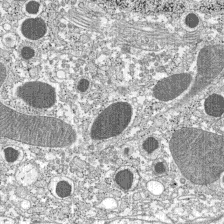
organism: C57BL Mouse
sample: Pancreatic islet